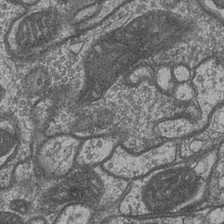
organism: Drosophila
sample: Optic medulla